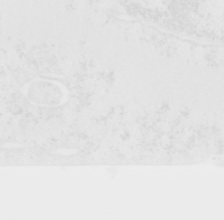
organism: Human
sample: T Cells (Jurkat E6.1)